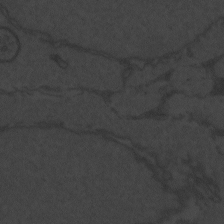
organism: Zebrafish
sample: Macrophage infected with Toxoplasma gondii